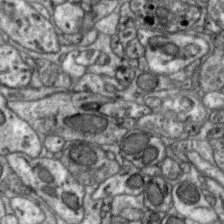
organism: Zebra finch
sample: Brain